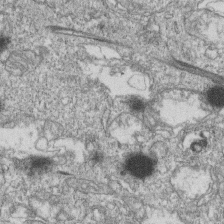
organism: Human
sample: HeLa cell HIV synapse